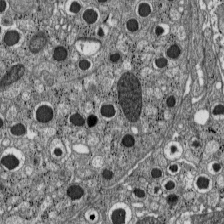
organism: C57BL Mouse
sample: Pancreatic islet